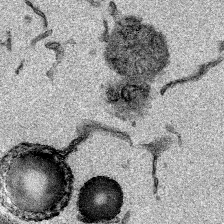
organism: Mouse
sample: Cancer cell death in ED-1 cells